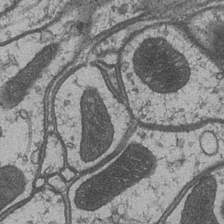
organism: Drosophila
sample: Optic medulla